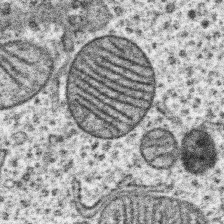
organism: Human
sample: HeLa cells